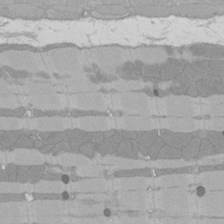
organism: Rat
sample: Left ventricle